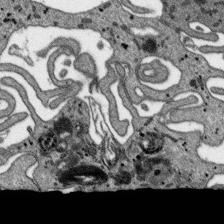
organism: Human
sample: Lung epithelial cells, uninfected (mock) control